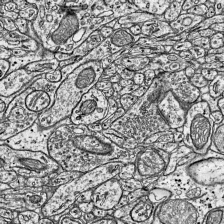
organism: Mouse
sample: Visual Cortex